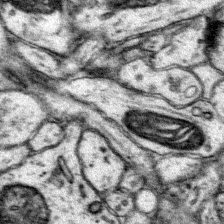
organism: Mouse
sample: Primary visual cortex